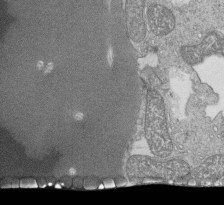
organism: Tetrahymena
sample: Cilia in tetrahymena